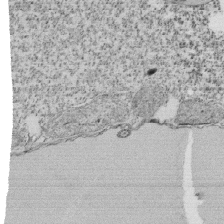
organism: Tetrahymena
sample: Cilia in tetrahymena